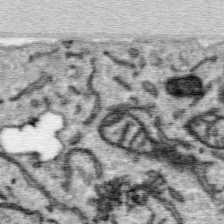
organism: Human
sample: HeLa cells